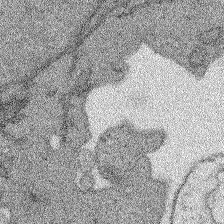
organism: Human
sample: HeLa cells